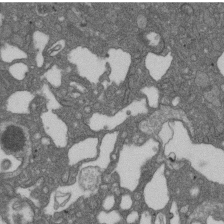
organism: Drosophila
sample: Nephrocyte